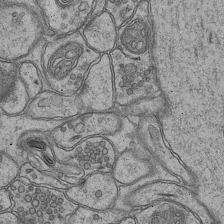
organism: Mouse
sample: CA1 Hippocampus